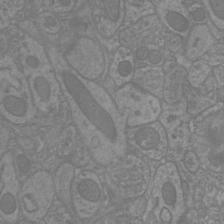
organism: Mouse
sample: Cortical neurons